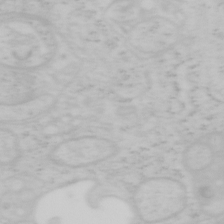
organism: Mouse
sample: OT-I killer T cells with ID8 ovarian cancer cells